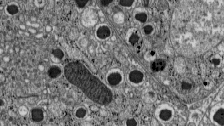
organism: C57BL Mouse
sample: Pancreatic islet